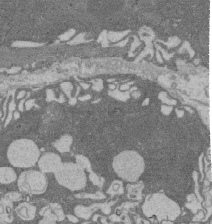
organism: Rat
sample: Salivary granule